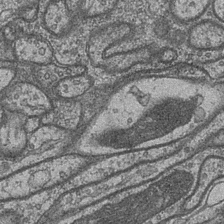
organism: Drosophila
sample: Optic medulla